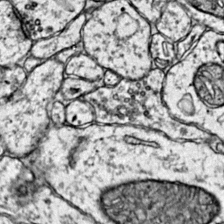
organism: Mouse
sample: Primary visual cortex